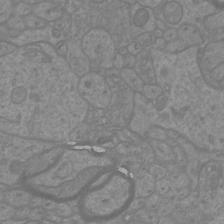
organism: Mouse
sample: Cortical neurons